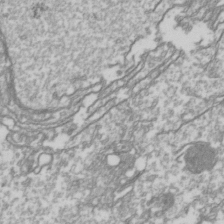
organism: Drosophila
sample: Cell division; meiosis; drosophila spermatocytes